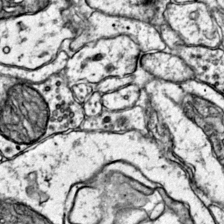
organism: Mouse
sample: Primary visual cortex